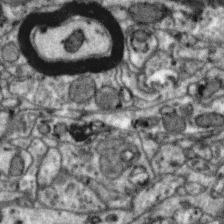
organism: Zebra finch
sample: Brain